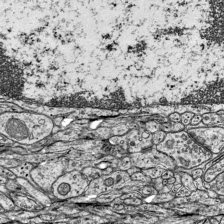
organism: Mouse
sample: Visual Cortex